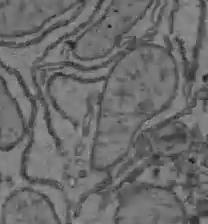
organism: C57BL Mouse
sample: Liver